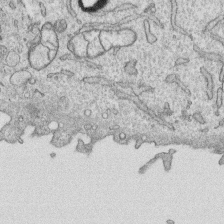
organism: Human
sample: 1205lu cells